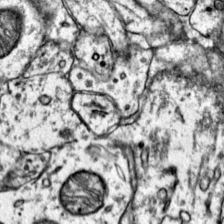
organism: Mouse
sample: Primary visual cortex